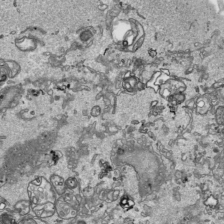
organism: Human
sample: Mitochondria in HCT116 cells